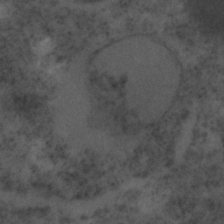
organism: C. elegans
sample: C. elegans embryo